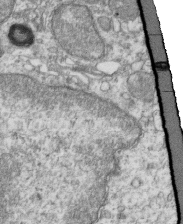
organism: Mouse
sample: Activated OT-1 CD8+ T cells